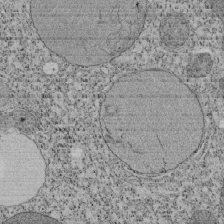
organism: Tetrahymena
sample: Cilia in tetrahymena